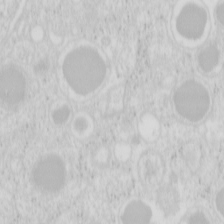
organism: Mouse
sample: Pancreas